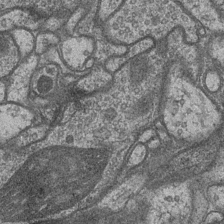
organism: Drosophila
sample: Optic medulla